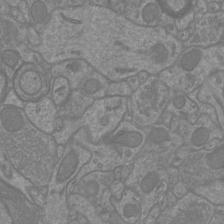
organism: Mouse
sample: Cortical neurons